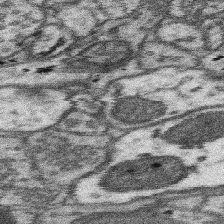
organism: Mouse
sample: Somatosensory cortex neuropil